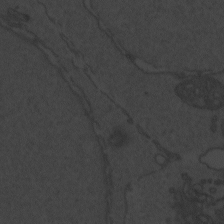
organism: Zebrafish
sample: Macrophage infected with Toxoplasma gondii